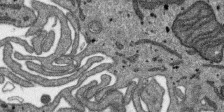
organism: Human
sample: Lung epithelial cells, uninfected (mock) control